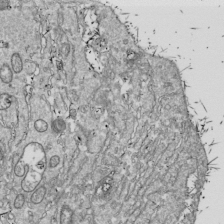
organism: Drosophila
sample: Cell division; meiosis; drosophila spermatocytes